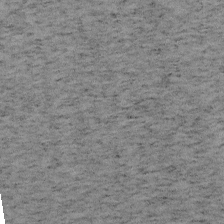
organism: Mouse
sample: OT-I killer T cells with ID8 ovarian cancer cells